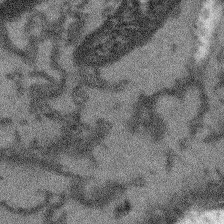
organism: Arabidopsis thaliana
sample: Root tip